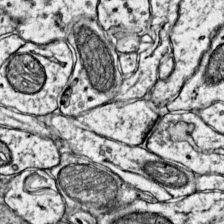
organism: Mouse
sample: Primary visual cortex